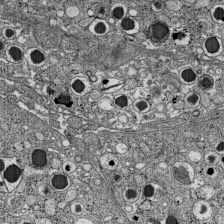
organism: C57BL Mouse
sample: Pancreatic islet